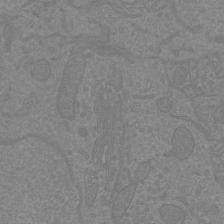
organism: Mouse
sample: Cortical neurons